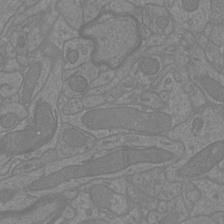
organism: Mouse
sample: Cortical neurons